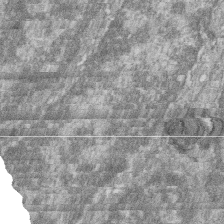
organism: Zebrafish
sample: Cilia; retinal pigment epithelium